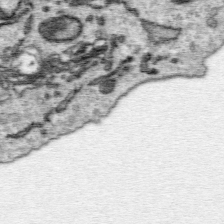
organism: Human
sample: HeLa cells